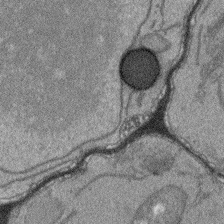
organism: Arabidopsis thaliana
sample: Root tip